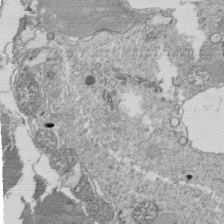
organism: Tetrahymena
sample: Cilia in tetrahymena